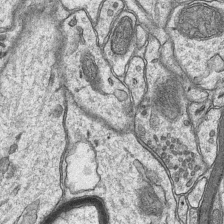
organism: Mouse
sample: CA1 Hippocampus